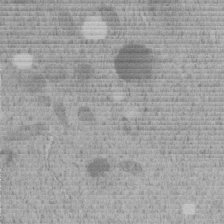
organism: C. elegans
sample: C. elegans embryo early stage